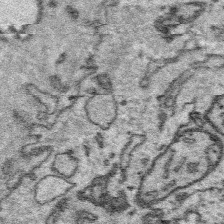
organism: Platynereis dumerilii